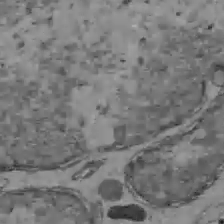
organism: C57BL Mouse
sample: Liver